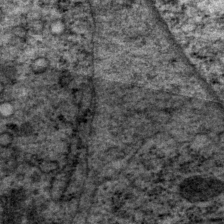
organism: P. pacificus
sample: Pharynx